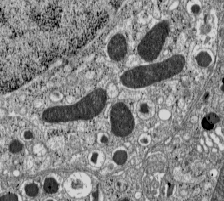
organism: C57BL Mouse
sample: Pancreatic islet